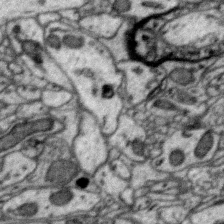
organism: Zebra finch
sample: Brain